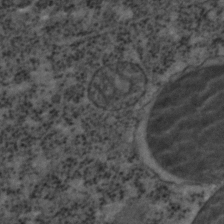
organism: C. elegans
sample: C. elegans embryo